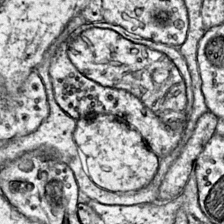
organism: Mouse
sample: Primary visual cortex